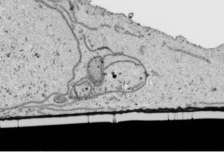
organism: Human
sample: Mitochondria in HCT116 cells